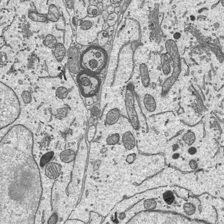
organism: Mouse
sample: Suprachiasmatic nucleus